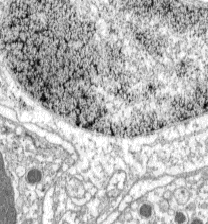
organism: C57BL Mouse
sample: Pancreatic islet